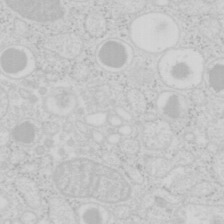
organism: Mouse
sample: Pancreas